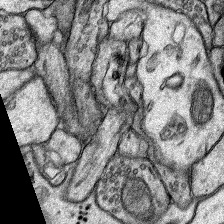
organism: Rat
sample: Hippocampus